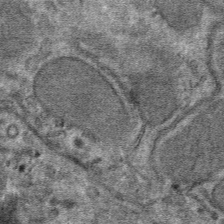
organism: Mouse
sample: Mouse hepatocytes